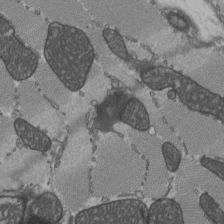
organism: C57BL Mouse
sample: Heart